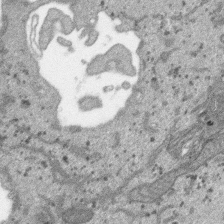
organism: Human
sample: Lung epithelial cells infected with SARS-CoV-2